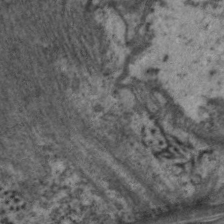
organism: C. elegans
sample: Pharynx